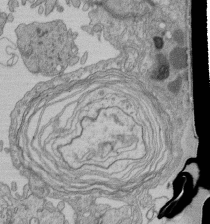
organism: Human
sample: Retinal organoid Rod and Cone cells